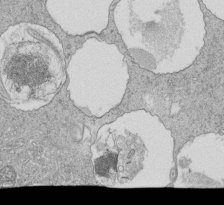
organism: Tetrahymena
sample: Cilia in tetrahymena